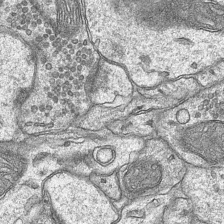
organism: Mouse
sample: CA1 Hippocampus